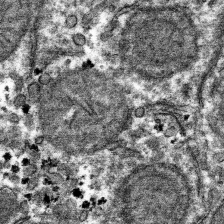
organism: Mouse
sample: Mouse hepatocytes